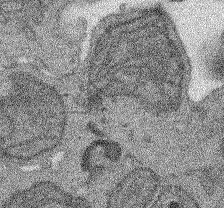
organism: Human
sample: HeLa cells